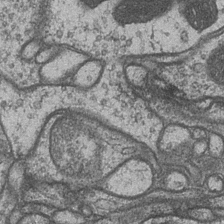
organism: Drosophila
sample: Optic medulla